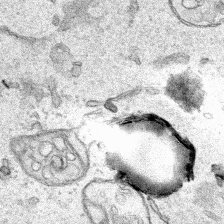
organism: Human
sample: Mitochondria in HCT116 cells